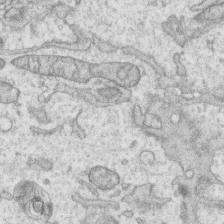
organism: Human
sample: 1205lu cells